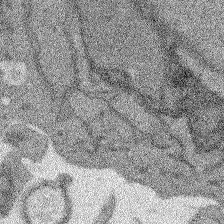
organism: Human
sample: HeLa cells